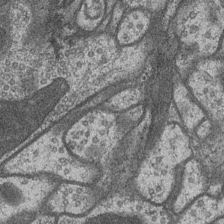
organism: Drosophila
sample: Optic medulla